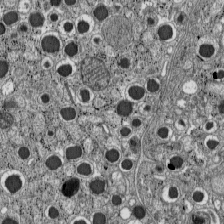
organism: C57BL Mouse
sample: Pancreatic islet